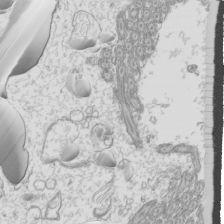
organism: Mouse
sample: Cilia; mouse epididymis